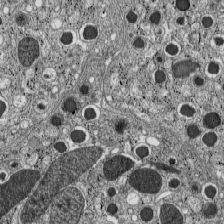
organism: C57BL Mouse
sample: Pancreatic islet